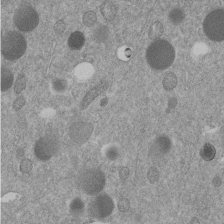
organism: C. elegans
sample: C. elegans embryo early stage